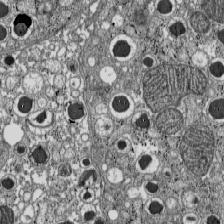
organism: C57BL Mouse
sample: Pancreatic islet